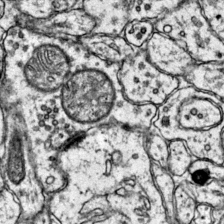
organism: Mouse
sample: Primary visual cortex